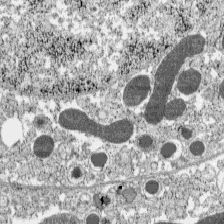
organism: C57BL Mouse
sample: Pancreatic islet